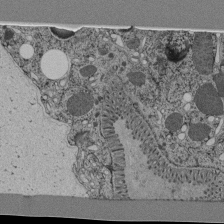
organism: C. elegans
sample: C. elegans pharynx